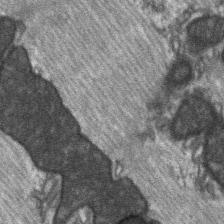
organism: C57BL Mouse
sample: Soleus